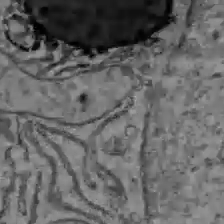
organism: C57BL Mouse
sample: Liver